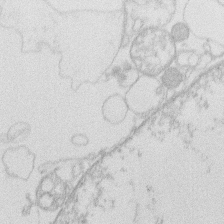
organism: Human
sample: Macrophage cells